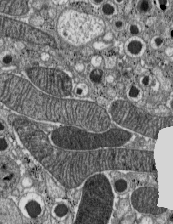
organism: C57BL Mouse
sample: Pancreatic islet